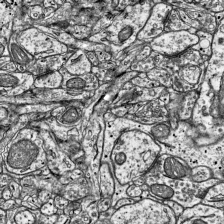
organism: Mouse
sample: Visual Cortex